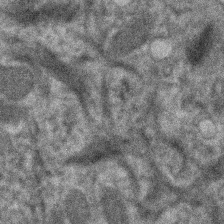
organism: Human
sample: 1205lu cells